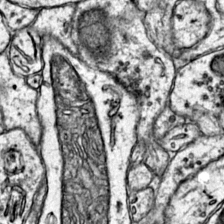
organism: Mouse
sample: Primary visual cortex